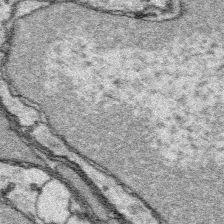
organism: Platynereis dumerilii